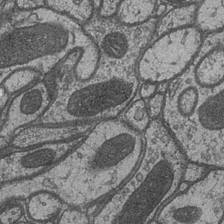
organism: Drosophila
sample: Optic medulla